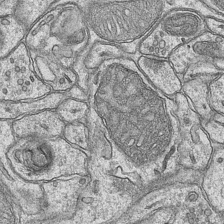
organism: Mouse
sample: CA1 Hippocampus